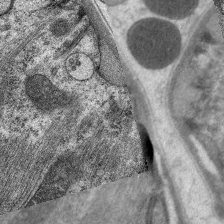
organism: C. elegans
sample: Pharynx